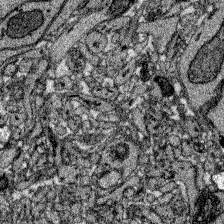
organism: Zebrafish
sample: Larval olfactory bulb